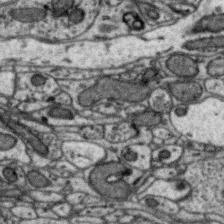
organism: Zebra finch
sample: Brain